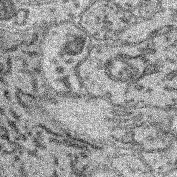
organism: Mouse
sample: Retina